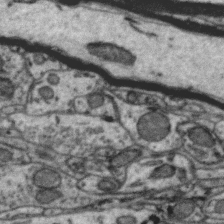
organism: Zebra finch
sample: Brain